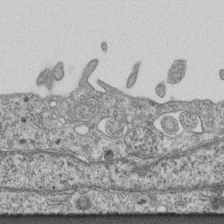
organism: Mouse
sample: Centriole in ependymal cells